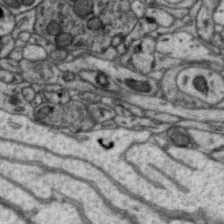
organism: Zebra finch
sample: Brain